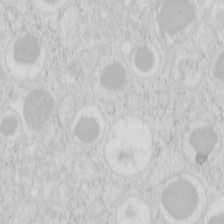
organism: Mouse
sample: Pancreas